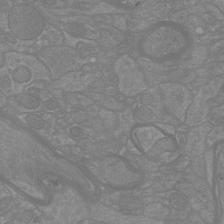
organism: Mouse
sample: Cortical neurons